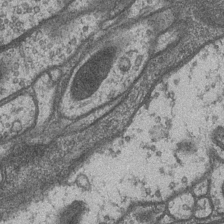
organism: Drosophila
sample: Optic medulla